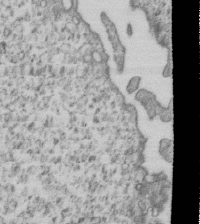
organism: Human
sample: MDA-MB-231 cells